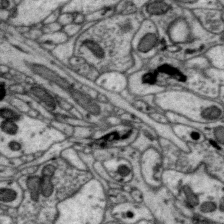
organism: Zebra finch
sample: Brain